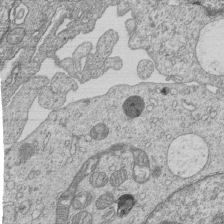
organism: Human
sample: MDA-MB-231 cells